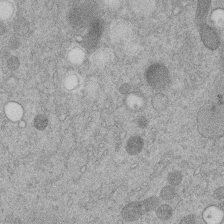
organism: C. elegans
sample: C. elegans embryo early stage